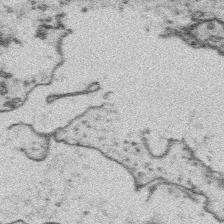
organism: Platynereis dumerilii